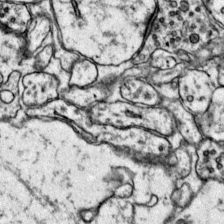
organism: Mouse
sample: Primary visual cortex